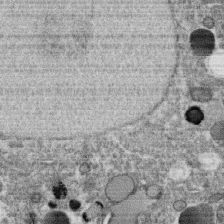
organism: C. elegans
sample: C. elegans oocyte; sperm cells